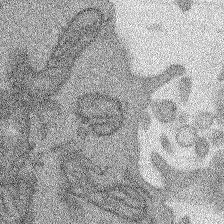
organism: Human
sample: HeLa cells